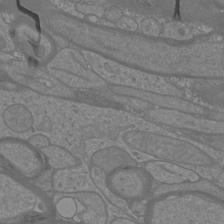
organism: Mouse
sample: Cortical neurons